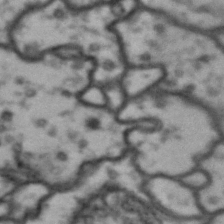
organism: Drosophila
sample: Brain